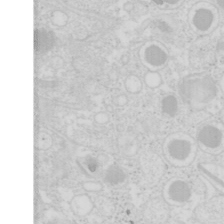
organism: Mouse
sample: Pancreas